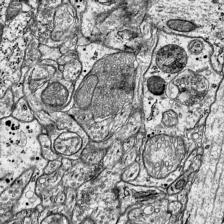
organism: Mouse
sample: Visual Cortex